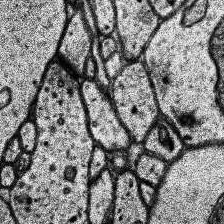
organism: Human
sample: Temporal Lobe